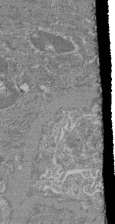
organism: Mouse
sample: Glomerulus